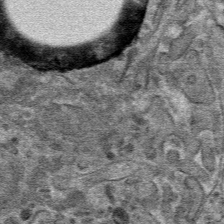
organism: Mouse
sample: Mouse hepatocytes